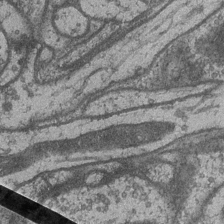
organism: Drosophila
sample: Optic medulla